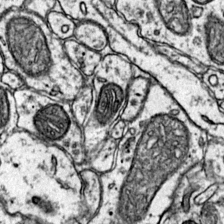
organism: Mouse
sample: Primary visual cortex